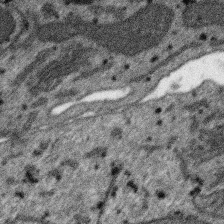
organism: Human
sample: Lung epithelial cells infected with SARS-CoV-2